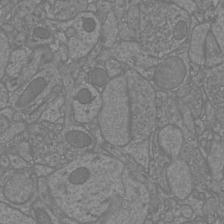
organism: Mouse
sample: Cortical neurons